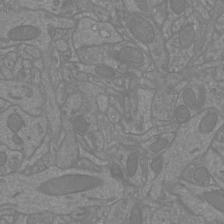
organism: Mouse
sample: Cortical neurons